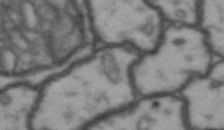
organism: Drosophila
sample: Brain